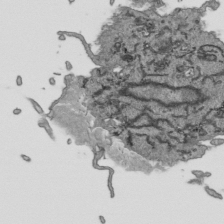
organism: Human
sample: Mitochondria in HCT116 cells